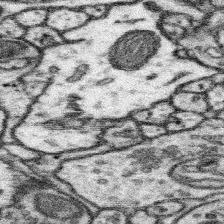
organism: Mouse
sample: Somatosensory cortex neuropil